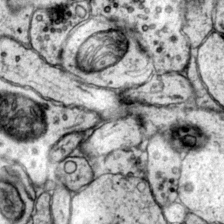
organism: Mouse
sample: Primary visual cortex